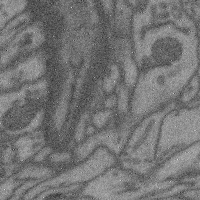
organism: Mouse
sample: Cerebral cortex